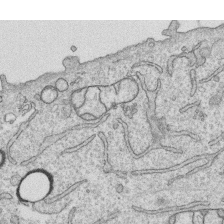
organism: Human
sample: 1205lu cells